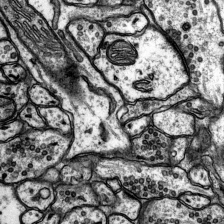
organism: Rat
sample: Hippocampus